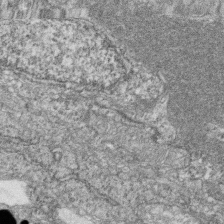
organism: Zebrafish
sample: Cilia; retinal pigment epithelium